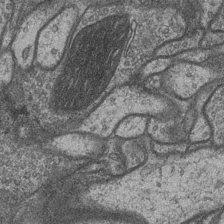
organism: Drosophila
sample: Optic medulla